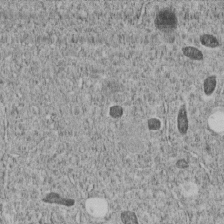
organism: C. elegans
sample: C. elegans embryo early stage